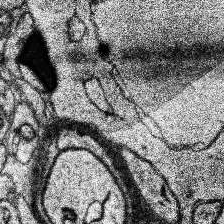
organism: Human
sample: Temporal Lobe